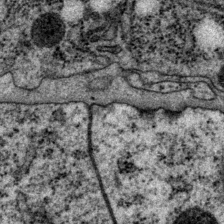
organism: P. pacificus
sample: Pharynx